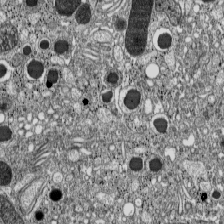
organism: C57BL Mouse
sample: Pancreatic islet